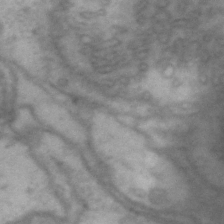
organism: Drosophila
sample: Brain